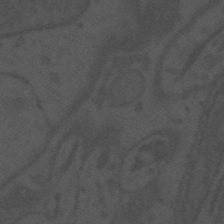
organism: Mouse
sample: Suprachiasmatic nucleus